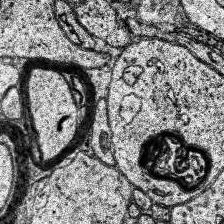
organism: Human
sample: Temporal Lobe